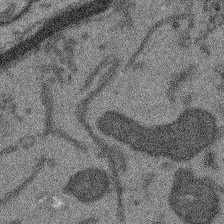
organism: Arabidopsis thaliana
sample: Root tip